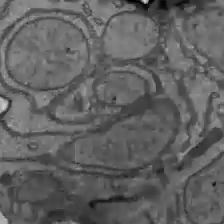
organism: C57BL Mouse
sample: Liver